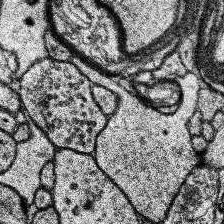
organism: Human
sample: Temporal Lobe